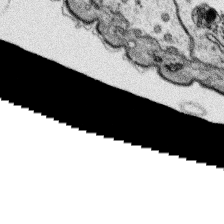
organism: Platynereis dumerilii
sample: Parapodia